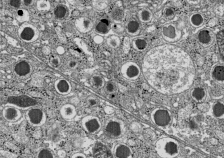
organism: C57BL Mouse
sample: Pancreatic islet